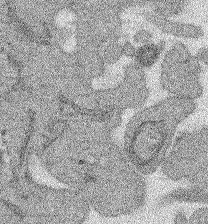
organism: Human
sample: HeLa cells